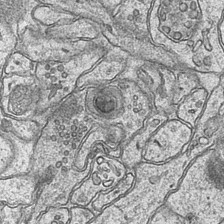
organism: Mouse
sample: CA1 Hippocampus